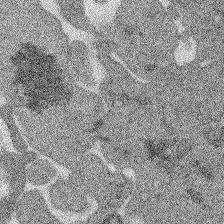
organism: Human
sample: HeLa cells